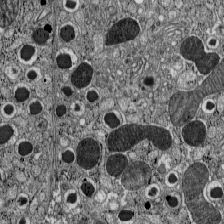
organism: C57BL Mouse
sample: Pancreatic islet